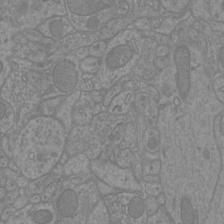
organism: Mouse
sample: Cortical neurons